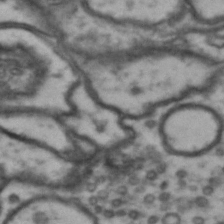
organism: Drosophila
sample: Brain